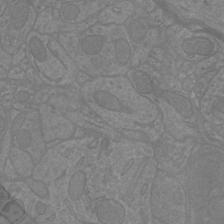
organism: Mouse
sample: Cortical neurons